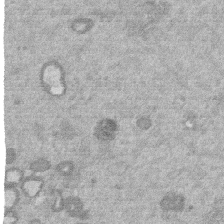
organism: Mouse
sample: Dividing mouse embryo 1 cell stage